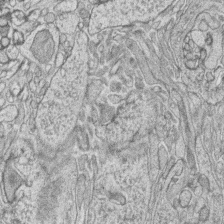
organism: Zebrafish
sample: synaptic ribbons in rod cells and cone cells